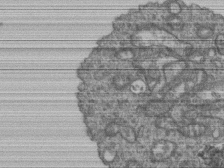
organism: Human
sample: Retinal organoid Rod and Cone cells